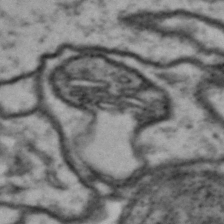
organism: Drosophila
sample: Brain